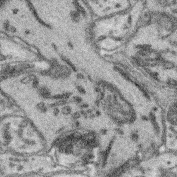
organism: Mouse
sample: Retina